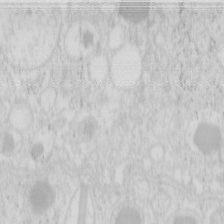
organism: Mouse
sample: Pancreas